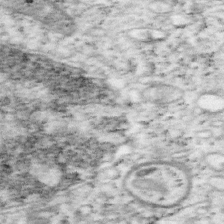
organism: Mouse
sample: OT-I killer T cells with ID8 ovarian cancer cells